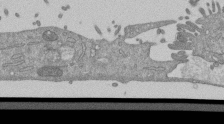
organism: Mouse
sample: ED-1 cell nuclei; centrioles